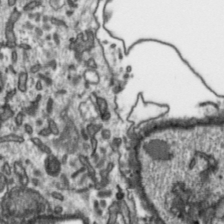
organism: Toxoplasma gondii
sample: Parasites in a vacuole inside a host cell